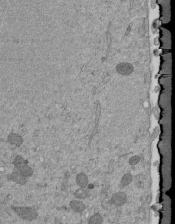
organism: Mouse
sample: ED-1 cell nuclei; centrioles